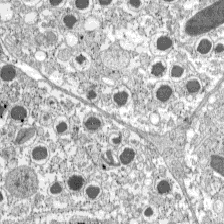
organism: C57BL Mouse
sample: Pancreatic islet